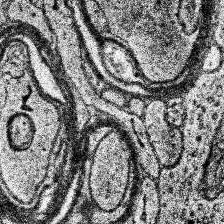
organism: Human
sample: Temporal Lobe